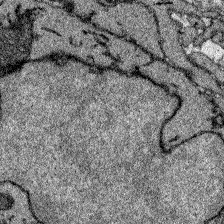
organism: Zebrafish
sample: Larval olfactory bulb